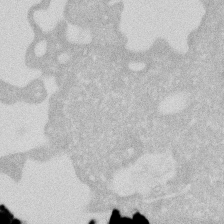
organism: Human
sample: HIV infected U937 cells